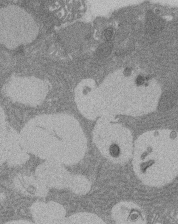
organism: Rat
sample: Salivary granule